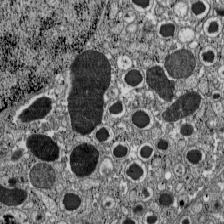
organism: C57BL Mouse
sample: Pancreatic islet